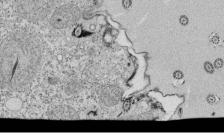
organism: Tetrahymena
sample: Cilia in tetrahymena